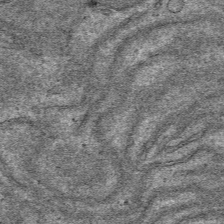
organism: Mouse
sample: Mouse hepatocytes